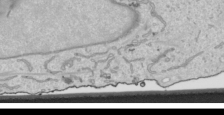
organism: Human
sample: Mitochondria in HCT116 cells